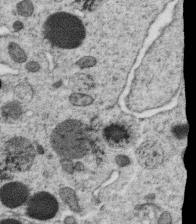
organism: C. elegans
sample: C. elegans oocyte; sperm cells